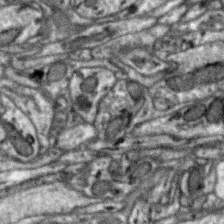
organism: Zebra finch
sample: Brain